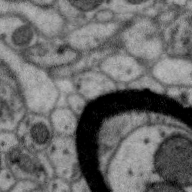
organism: Zebra finch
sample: Brain